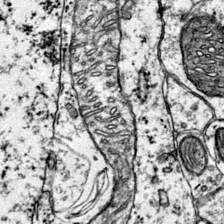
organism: Mouse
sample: Primary visual cortex